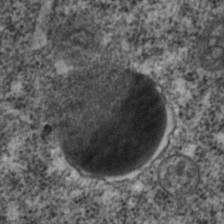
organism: C. elegans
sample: C. elegans embryo